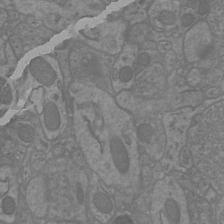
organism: Mouse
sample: Cortical neurons